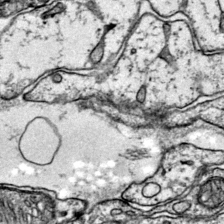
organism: Mouse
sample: Primary visual cortex